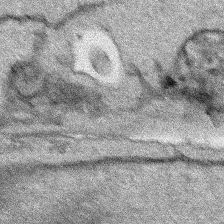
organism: Human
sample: Mitochondria in HCT116 cells